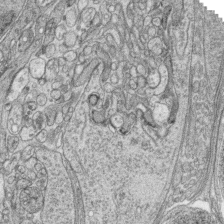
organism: Zebrafish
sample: synaptic ribbons in rod cells and cone cells